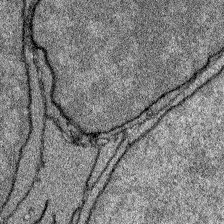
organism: Zebrafish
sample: Larval olfactory bulb